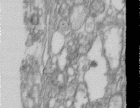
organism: Human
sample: Centriole in RPE cells